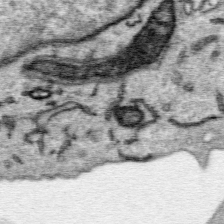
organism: Human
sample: HeLa cells